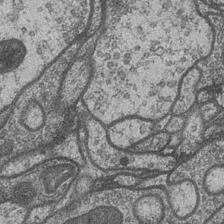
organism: Drosophila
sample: Optic medulla